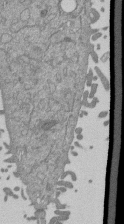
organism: Mouse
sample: ED-1 cell nuclei; centrioles